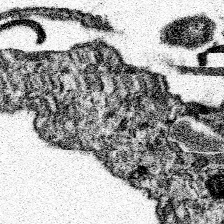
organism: Spongilla lacustris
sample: Neuroid cell